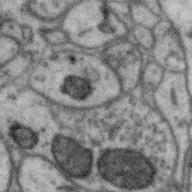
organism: Zebra finch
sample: Brain